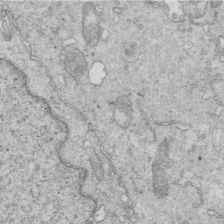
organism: Mouse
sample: Multiciliated cells